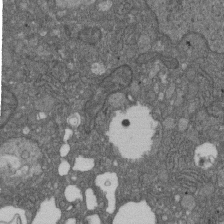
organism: Drosophila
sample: Nephrocyte